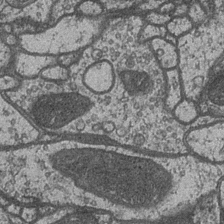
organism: Drosophila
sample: Optic medulla